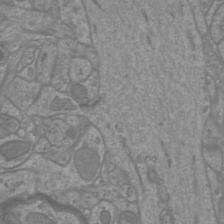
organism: Mouse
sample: Cortical neurons